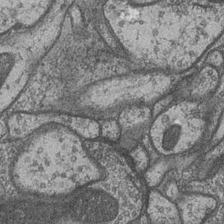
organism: Drosophila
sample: Optic medulla